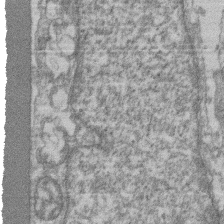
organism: Mouse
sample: T cell stromal cell synapse